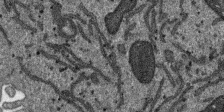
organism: Human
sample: Lung epithelial cells infected with SARS-CoV-2